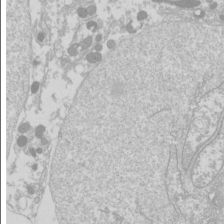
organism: Drosophila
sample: Cell division; meiosis; drosophila spermatocytes